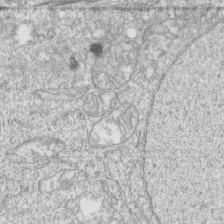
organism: Human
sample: HeLa cell HIV synapse